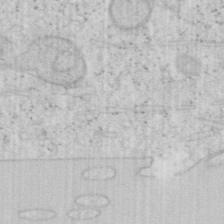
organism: Human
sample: HeLa cells